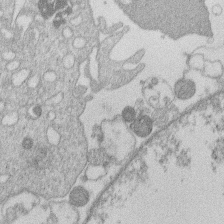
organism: Human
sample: Macrophage cells